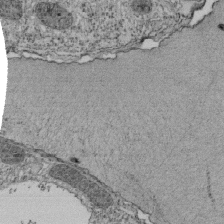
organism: Tetrahymena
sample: Cilia in tetrahymena